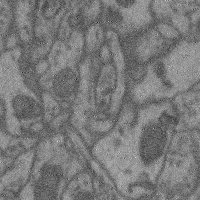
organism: Mouse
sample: Cerebral cortex